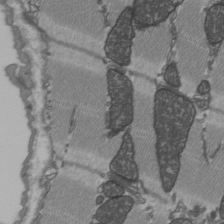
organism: C57BL Mouse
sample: Heart